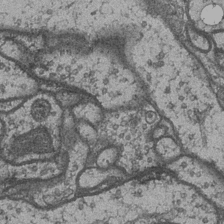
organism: Drosophila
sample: Optic medulla